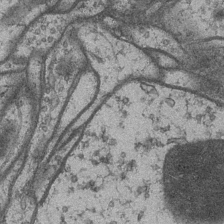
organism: Drosophila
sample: Optic medulla